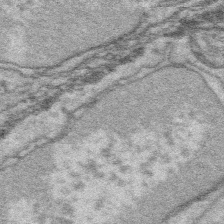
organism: Platynereis dumerilii